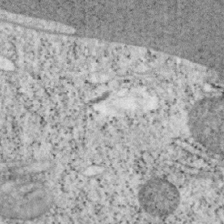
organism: Mouse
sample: OT-I killer T cells with ID8 ovarian cancer cells